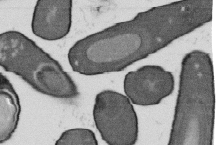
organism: B. subtilis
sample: Bacterial spore